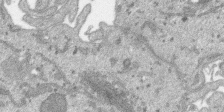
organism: Human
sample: Lung epithelial cells infected with SARS-CoV-2